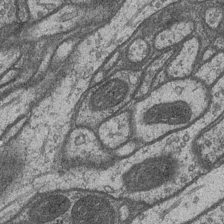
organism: Drosophila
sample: Optic medulla